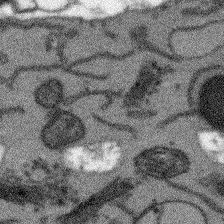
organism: Arabidopsis thaliana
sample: Root tip